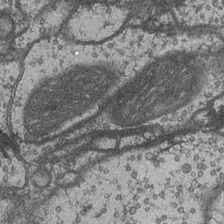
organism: Drosophila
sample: Optic medulla